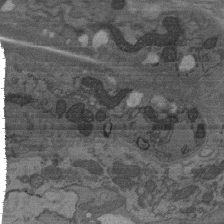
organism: C. elegans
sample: AFD neurons C. elegans